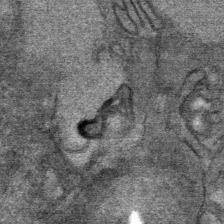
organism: Mouse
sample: Mouse Salivary gland